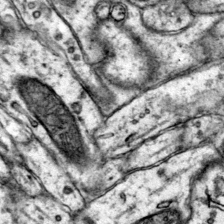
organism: Mouse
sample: Primary visual cortex